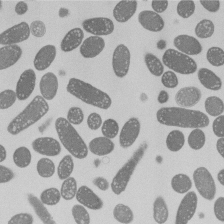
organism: E. coli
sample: Bacterial nucleoid